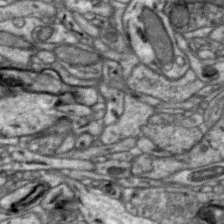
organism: Zebra finch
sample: Brain